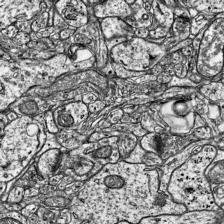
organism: Mouse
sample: Visual Cortex